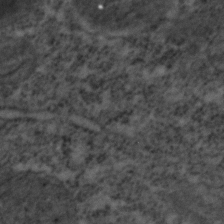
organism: C. elegans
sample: C. elegans embryo